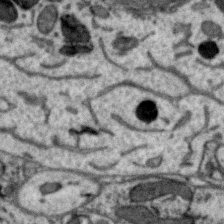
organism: Zebra finch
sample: Brain